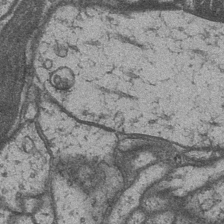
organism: Drosophila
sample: Optic medulla